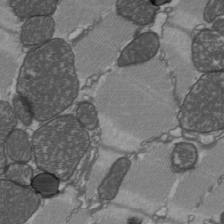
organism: C57BL Mouse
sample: Heart